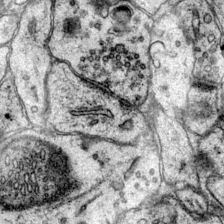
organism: Mouse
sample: Primary visual cortex